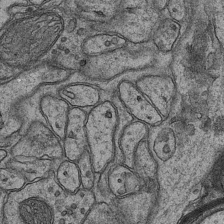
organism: Mouse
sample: CA1 Hippocampus